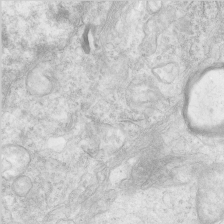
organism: Human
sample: Neocortex